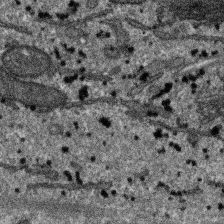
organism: Human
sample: Lung epithelial cells infected with SARS-CoV-2